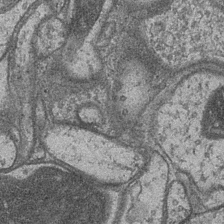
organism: Drosophila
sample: Optic medulla